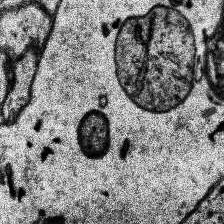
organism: Human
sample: Temporal Lobe